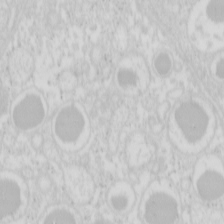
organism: Mouse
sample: Pancreas